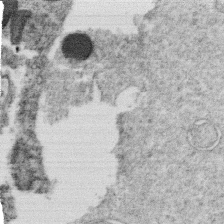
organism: C. elegans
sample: C. elegans oocyte; sperm cells